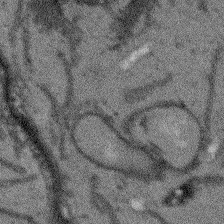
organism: Arabidopsis thaliana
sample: Root tip